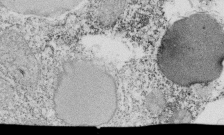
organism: Tetrahymena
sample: Cilia in tetrahymena